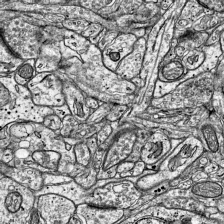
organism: Mouse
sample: Visual Cortex